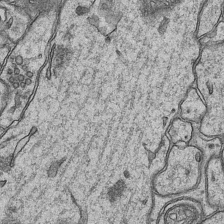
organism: Mouse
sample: CA1 Hippocampus